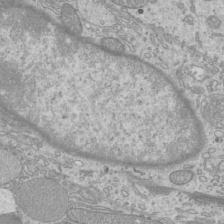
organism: Mouse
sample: Cilia; mouse epididymis